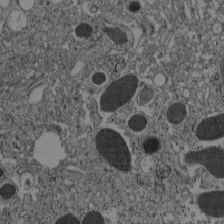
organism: C57BL Mouse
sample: Pancreatic islet